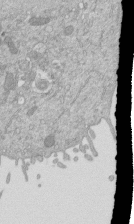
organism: Mouse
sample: ED-1 cell nuclei; centrioles